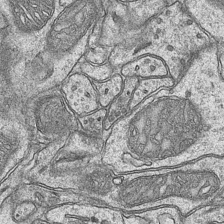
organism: Mouse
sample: CA1 Hippocampus